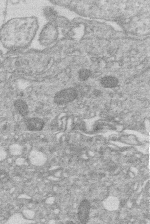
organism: Human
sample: Macrophage cells